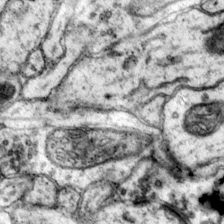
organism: Mouse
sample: Primary visual cortex